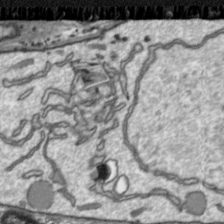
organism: Toxoplasma gondii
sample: Parasites in a vacuole inside a host cell